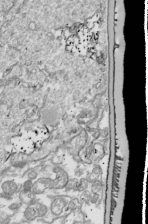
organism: Drosophila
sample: Cell division; meiosis; drosophila spermatocytes